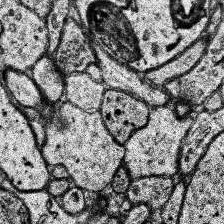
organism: Human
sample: Temporal Lobe